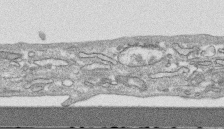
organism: Human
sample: CRL-1474